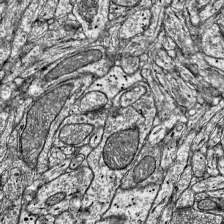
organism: Mouse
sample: Visual Cortex